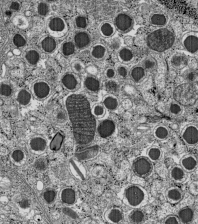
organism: C57BL Mouse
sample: Pancreatic islet